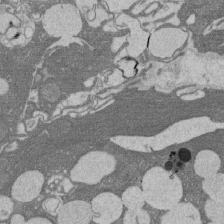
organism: Rat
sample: Salivary granule